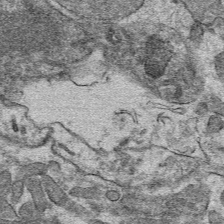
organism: Mouse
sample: Mouse hepatocytes